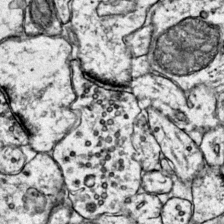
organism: Mouse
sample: Primary visual cortex